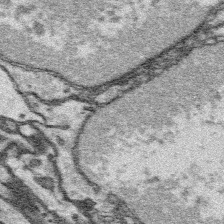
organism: Platynereis dumerilii